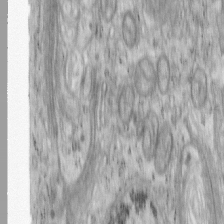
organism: Human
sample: HeLa cells